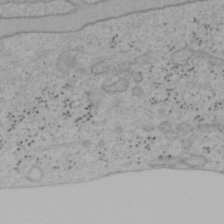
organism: Human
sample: HeLa cells